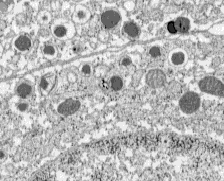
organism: C57BL Mouse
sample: Pancreatic islet